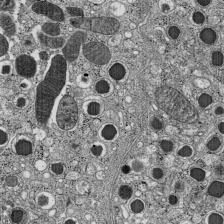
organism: C57BL Mouse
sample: Pancreatic islet